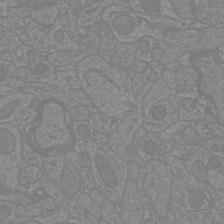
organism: Mouse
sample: Cortical neurons